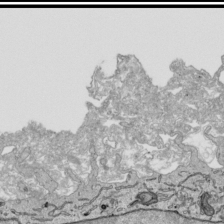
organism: Human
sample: Mitochondria in HCT116 cells